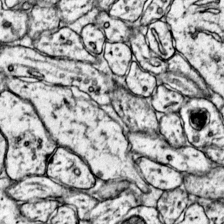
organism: Mouse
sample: Primary visual cortex